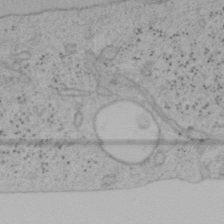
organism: Human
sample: HeLa cells